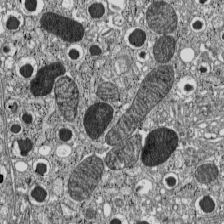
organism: C57BL Mouse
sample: Pancreatic islet